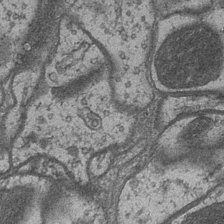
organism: Drosophila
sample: Optic medulla